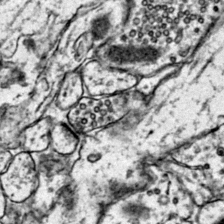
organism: Mouse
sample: Primary visual cortex